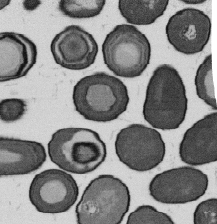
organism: B. subtilis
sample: Bacterial spore